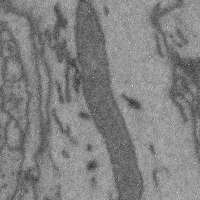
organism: Mouse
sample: Cerebral cortex